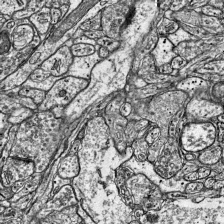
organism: Mouse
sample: Visual Cortex